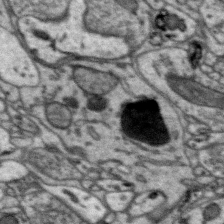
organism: Zebra finch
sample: Brain